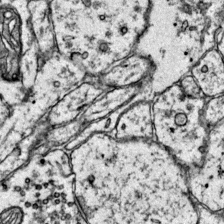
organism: Mouse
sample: Primary visual cortex